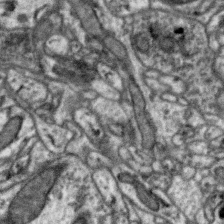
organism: Zebra finch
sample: Brain